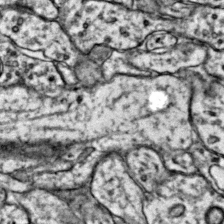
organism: Mouse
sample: Primary visual cortex